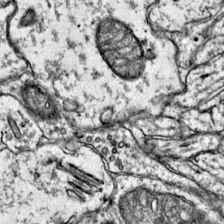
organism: Mouse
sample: Primary visual cortex